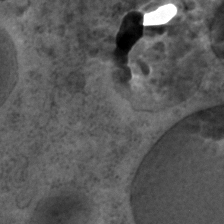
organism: C. elegans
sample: C. elegans embryo